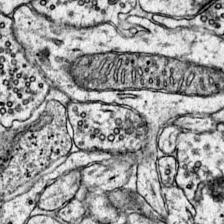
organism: Mouse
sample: Primary visual cortex